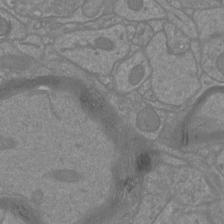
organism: Mouse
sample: Cortical neurons